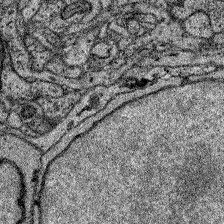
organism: Zebrafish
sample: Larval olfactory bulb